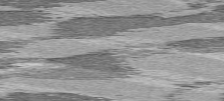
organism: C57BL Mouse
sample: Heart